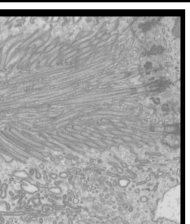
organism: Mouse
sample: Cilia; mouse epididymis